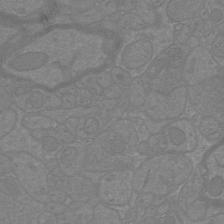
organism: Mouse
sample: Cortical neurons